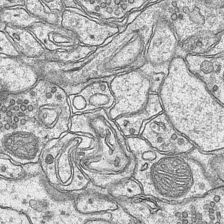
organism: Mouse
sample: CA1 Hippocampus